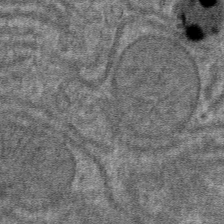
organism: Mouse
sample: Mouse hepatocytes